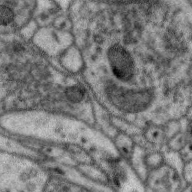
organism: Zebra finch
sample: Brain